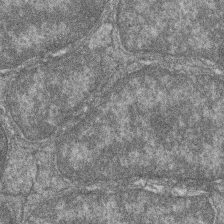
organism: Zebrafish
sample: Cilia; retinal pigment epithelium